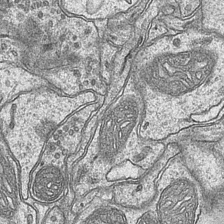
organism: Mouse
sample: CA1 Hippocampus